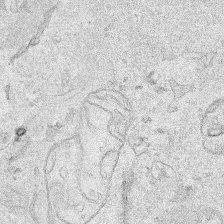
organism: Human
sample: Mitochondria in HCT116 cells